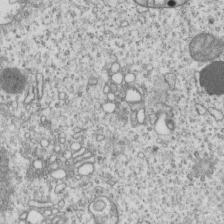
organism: Human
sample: MDA-MB-231 cells